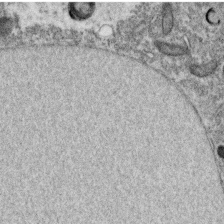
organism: C. elegans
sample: C. elegans oocyte; sperm cells